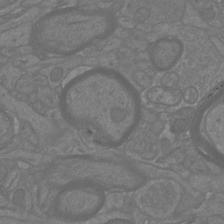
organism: Mouse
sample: Cortical neurons